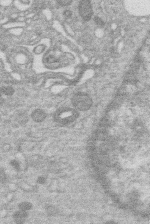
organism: Human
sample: Macrophage cells